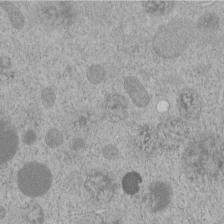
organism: C. elegans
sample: C. elegans embryo early stage